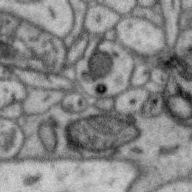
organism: Zebra finch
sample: Brain